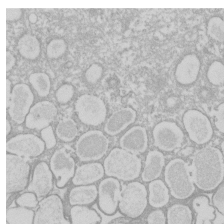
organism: Xenopus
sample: Cilia; centrioles in frog embryo cells